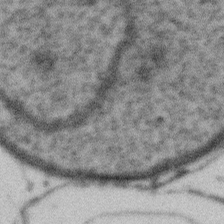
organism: Gemmata obscuriglobus